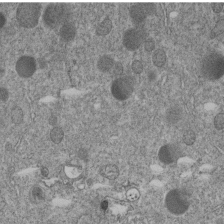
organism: C. elegans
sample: C. elegans embryo early stage